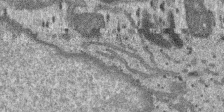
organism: Human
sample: Lung epithelial cells infected with SARS-CoV-2